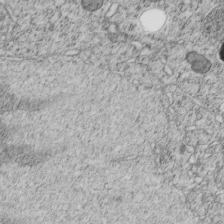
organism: C. elegans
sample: C. elegans embryo early stage